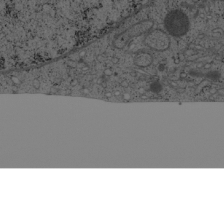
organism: African green monkey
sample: COS-7 cells